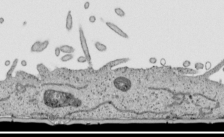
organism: Human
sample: Mitochondria in HCT116 cells